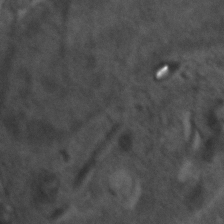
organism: Zebrafish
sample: Zebrafish embryo